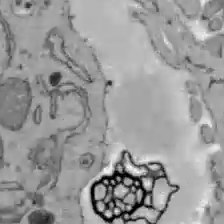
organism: C57BL Mouse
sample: Liver